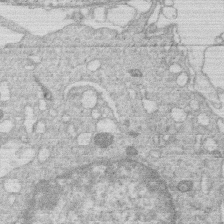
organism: Human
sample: Macrophage cells